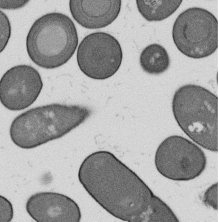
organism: B. subtilis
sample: Bacterial spore